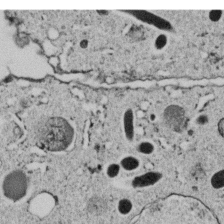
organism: C. elegans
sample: C. elegans embryo early stage